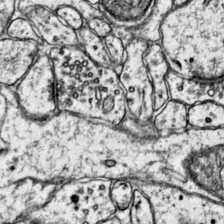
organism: Mouse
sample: Primary visual cortex